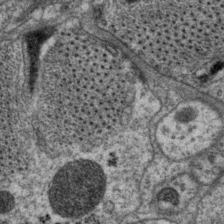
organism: P. pacificus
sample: Pharynx